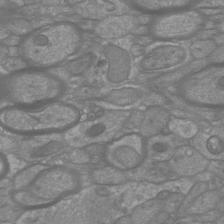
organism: Mouse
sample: Cortical neurons